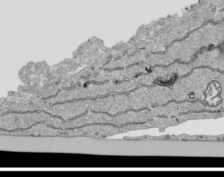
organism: Human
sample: Mitochondria in HCT116 cells